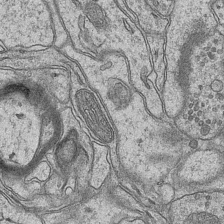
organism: Mouse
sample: CA1 Hippocampus